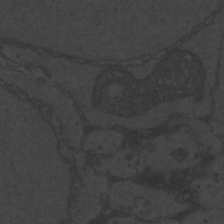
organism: Zebrafish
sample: Macrophage infected with Toxoplasma gondii